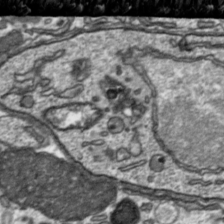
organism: Toxoplasma gondii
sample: Parasites in a vacuole inside a host cell